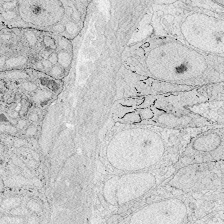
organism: Zebrafish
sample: Whole-Brain